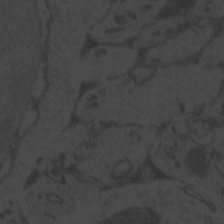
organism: Zebrafish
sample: Macrophage infected with Toxoplasma gondii